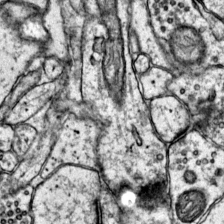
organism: Mouse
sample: Primary visual cortex